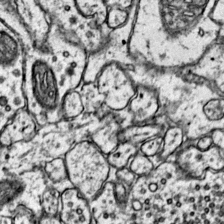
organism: Mouse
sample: Primary visual cortex